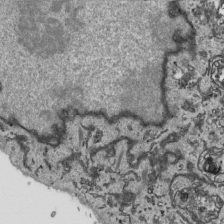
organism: Human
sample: Mitochondria in HCT116 cells